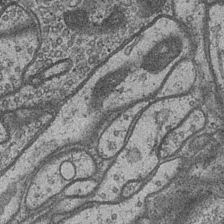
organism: Drosophila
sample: Optic medulla